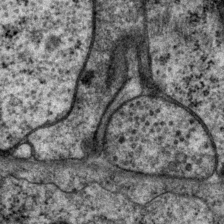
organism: P. pacificus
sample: Pharynx